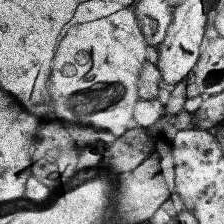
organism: Human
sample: Temporal Lobe